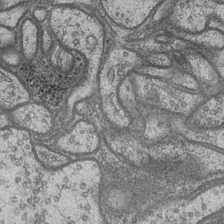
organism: Drosophila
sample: Optic medulla